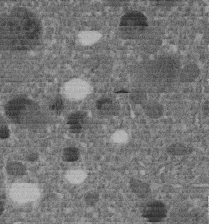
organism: C. elegans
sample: C. elegans embryo early stage